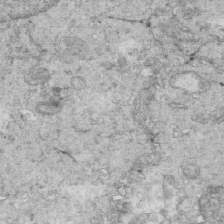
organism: Mouse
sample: Multiciliated cells